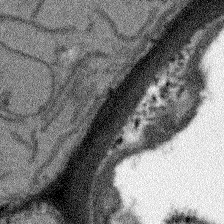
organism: Arabidopsis thaliana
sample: Root tip